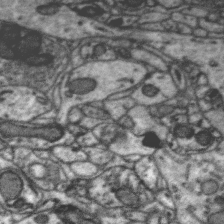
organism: Zebra finch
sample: Brain